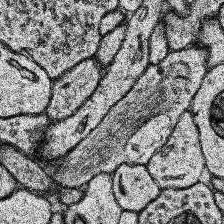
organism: Human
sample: Temporal Lobe